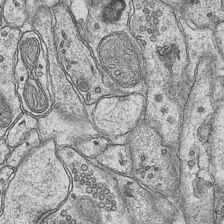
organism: Mouse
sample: CA1 Hippocampus